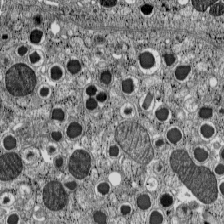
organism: C57BL Mouse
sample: Pancreatic islet